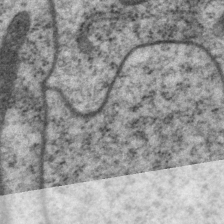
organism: P. pacificus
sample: Pharynx